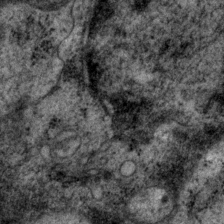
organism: P. pacificus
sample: Pharynx